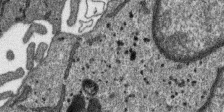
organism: Human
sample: Lung epithelial cells infected with SARS-CoV-2